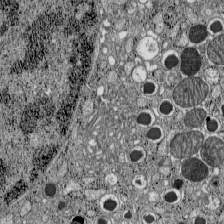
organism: C57BL Mouse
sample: Pancreatic islet